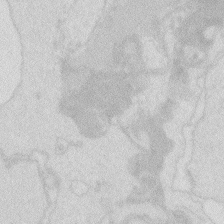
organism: Zebrafish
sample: Macrophage